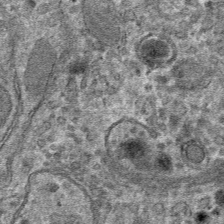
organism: Mouse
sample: Mouse hepatocytes